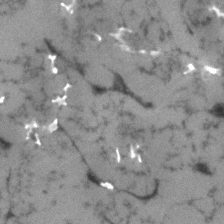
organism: Human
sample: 1205lu cells